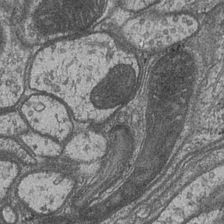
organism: Drosophila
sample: Optic medulla